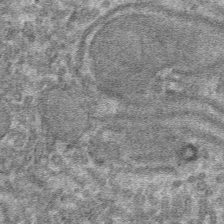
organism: Mouse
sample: Mouse hepatocytes